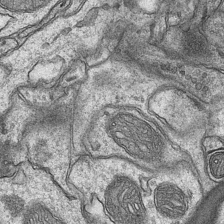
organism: Mouse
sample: CA1 Hippocampus